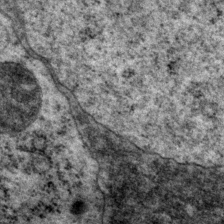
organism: P. pacificus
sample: Pharynx